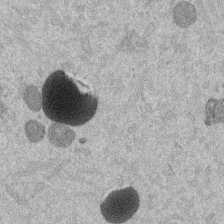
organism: Mouse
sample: Dividing mouse embryo 1 cell stage